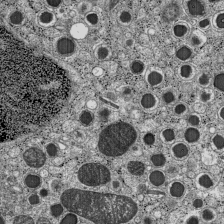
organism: C57BL Mouse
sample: Pancreatic islet